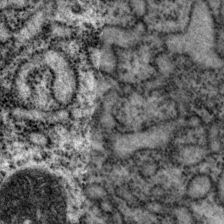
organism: P. pacificus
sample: Pharynx